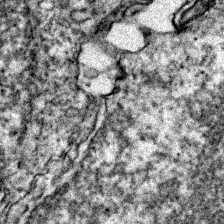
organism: Zebrafish